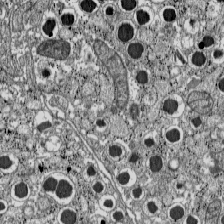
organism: C57BL Mouse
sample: Pancreatic islet